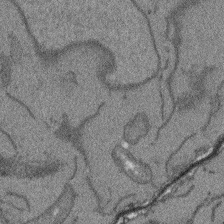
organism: Arabidopsis thaliana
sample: Root tip